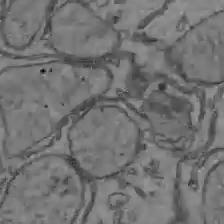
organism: C57BL Mouse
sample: Liver